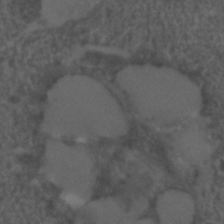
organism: C. elegans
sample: C. elegans embryo